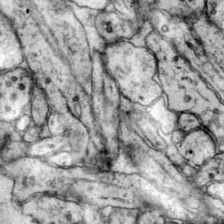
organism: Mouse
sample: Primary visual cortex